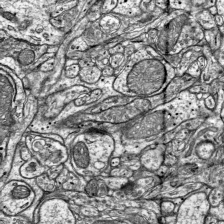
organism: Mouse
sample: Visual Cortex